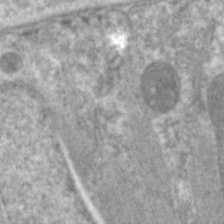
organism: C. elegans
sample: Pharynx